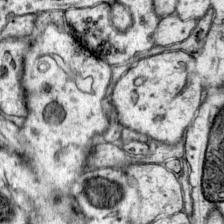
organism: Mouse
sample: Primary visual cortex